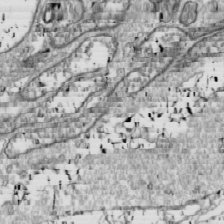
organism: Drosophila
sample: Cell division; meiosis; drosophila spermatocytes